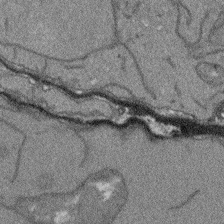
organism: Arabidopsis thaliana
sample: Root tip